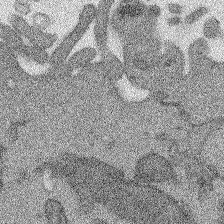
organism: Human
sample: HeLa cells